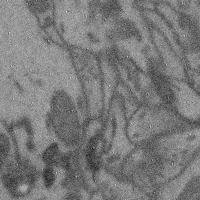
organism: Mouse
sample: Cerebral cortex